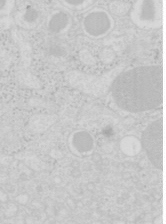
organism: Mouse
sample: Pancreas